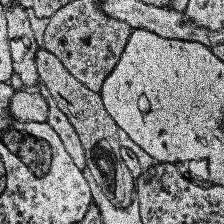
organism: Human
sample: Temporal Lobe